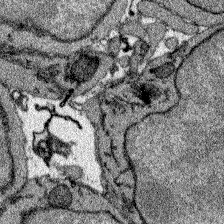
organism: Zebrafish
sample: Larval olfactory bulb